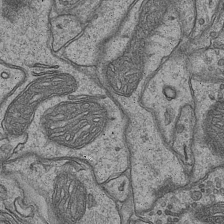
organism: Mouse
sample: CA1 Hippocampus